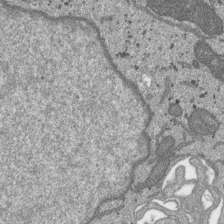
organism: Human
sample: Lung epithelial cells infected with SARS-CoV-2